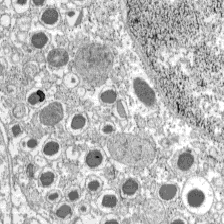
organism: C57BL Mouse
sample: Pancreatic islet